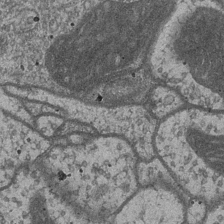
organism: Drosophila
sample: Optic medulla